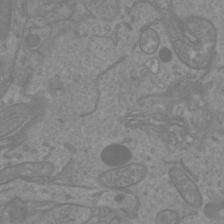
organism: Mouse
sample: Cortical neurons